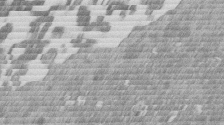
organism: Mouse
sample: Dividing mouse embryo 1 cell stage